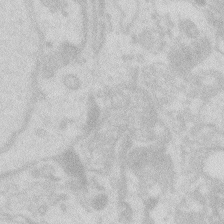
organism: Zebrafish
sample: Macrophage